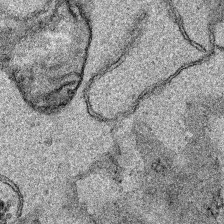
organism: Human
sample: Mitochondria in HCT116 cells